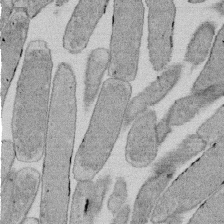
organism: E. coli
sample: Bacterial nucleoid